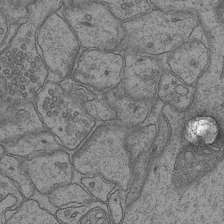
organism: Mouse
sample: CA1 Hippocampus